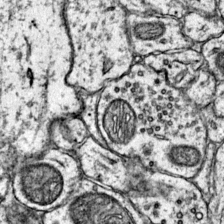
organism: Mouse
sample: Primary visual cortex